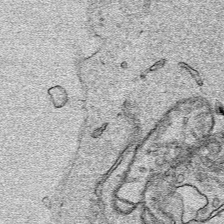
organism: Human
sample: Mitochondria in HCT116 cells